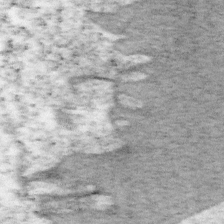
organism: Mouse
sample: OT-I killer T cells with ID8 ovarian cancer cells